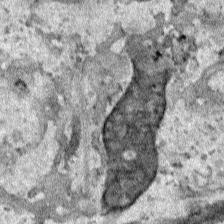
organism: Human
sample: Mitochondria in HCT116 cells